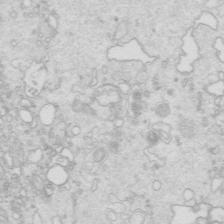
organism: Mouse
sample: Multiciliated cells